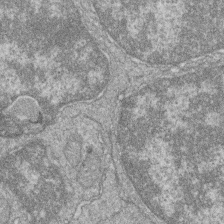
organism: Zebrafish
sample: Cilia; retinal pigment epithelium